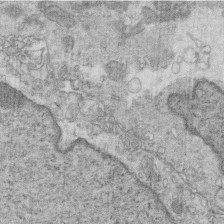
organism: Mouse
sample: Multiciliated cells